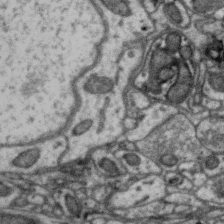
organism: Zebra finch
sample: Brain